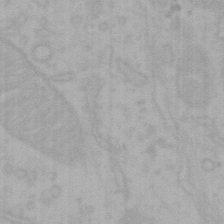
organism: Mouse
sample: Choroid plexus